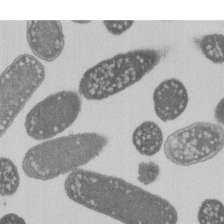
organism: E. coli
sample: Bacterial nucleoid